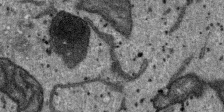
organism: Human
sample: Lung epithelial cells, uninfected (mock) control